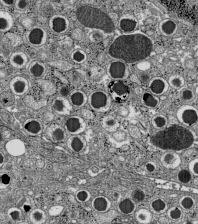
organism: C57BL Mouse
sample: Pancreatic islet